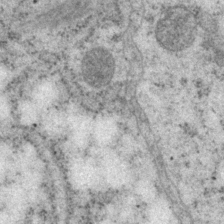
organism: P. pacificus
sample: Pharynx